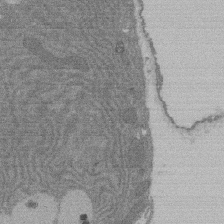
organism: Rat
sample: Salivary granule